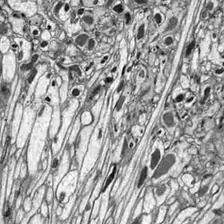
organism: Drosophila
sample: Optic lobe